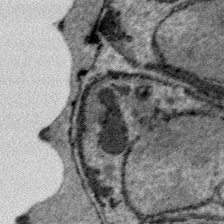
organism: Plasmodium falciparum